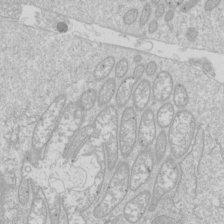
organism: Drosophila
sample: Cell division; meiosis; drosophila spermatocytes